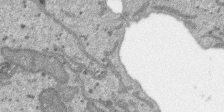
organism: Human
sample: Lung epithelial cells infected with SARS-CoV-2